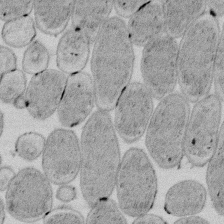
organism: E. coli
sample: Bacterial nucleoid